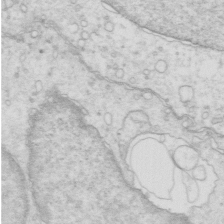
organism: Mouse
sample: Multiciliated cells